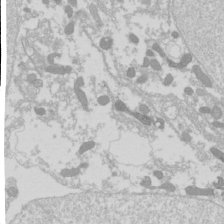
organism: Drosophila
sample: Cell division; meiosis; drosophila spermatocytes